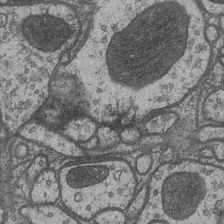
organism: Drosophila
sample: Optic medulla